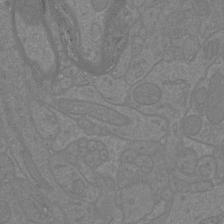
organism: Mouse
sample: Cortical neurons